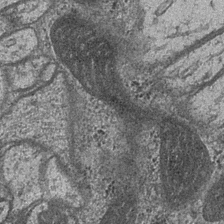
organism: Drosophila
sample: Optic medulla